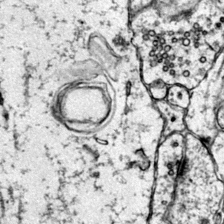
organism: Mouse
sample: Primary visual cortex